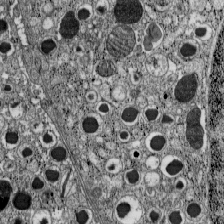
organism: C57BL Mouse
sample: Pancreatic islet